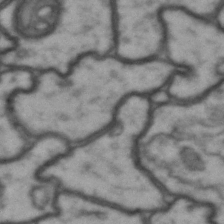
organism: Drosophila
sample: Brain